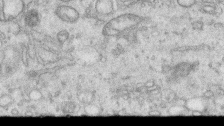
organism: Human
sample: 1205lu cells